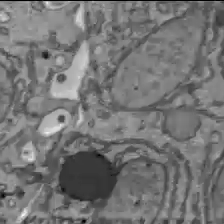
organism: C57BL Mouse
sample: Liver